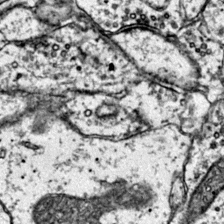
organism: Mouse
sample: Primary visual cortex